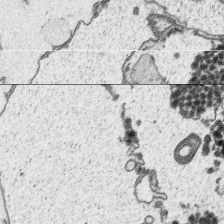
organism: Platynereis dumerilii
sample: Parapodia